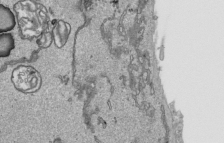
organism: Human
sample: Mitochondria in HCT116 cells